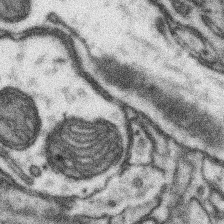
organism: Mouse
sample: Somatosensory cortex neuropil